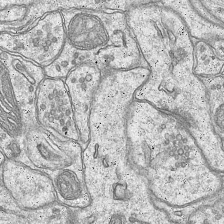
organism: Mouse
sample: CA1 Hippocampus